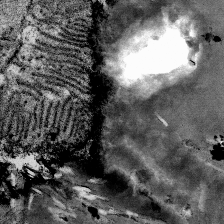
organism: Mouse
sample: Mouse Salivary gland